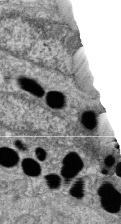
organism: Zebrafish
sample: Cilia; retinal pigment epithelium